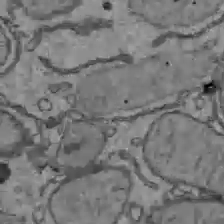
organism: C57BL Mouse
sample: Liver